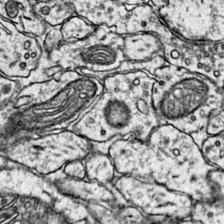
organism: Mouse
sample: Primary visual cortex